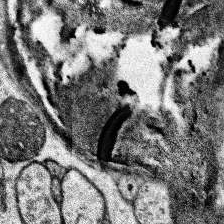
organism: Human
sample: Temporal Lobe